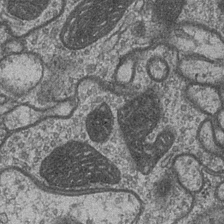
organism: Drosophila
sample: Optic medulla